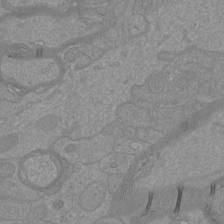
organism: Mouse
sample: Cortical neurons